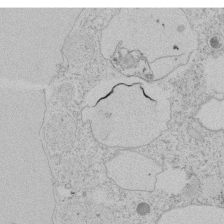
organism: Tetrahymena